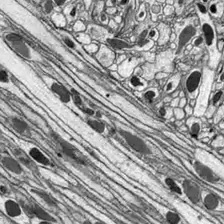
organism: Drosophila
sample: Optic lobe